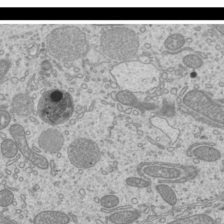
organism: Mouse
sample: Cilia; mouse epididymis